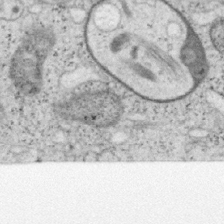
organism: Mouse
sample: OT-I killer T cells with ID8 ovarian cancer cells